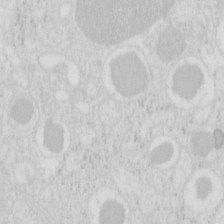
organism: Mouse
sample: Pancreas